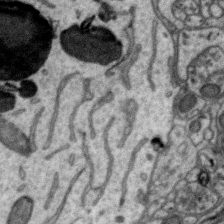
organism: Zebra finch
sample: Brain